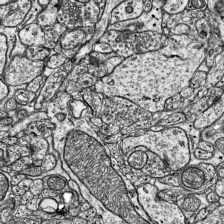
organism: Mouse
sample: Visual Cortex